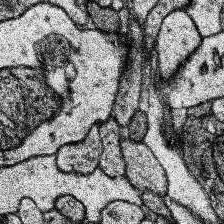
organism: Human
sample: Temporal Lobe